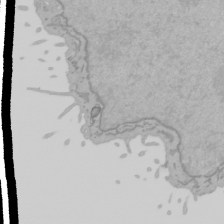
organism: Mouse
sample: Cancer cell death in ED-1 cells